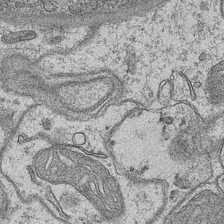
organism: Mouse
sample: CA1 Hippocampus